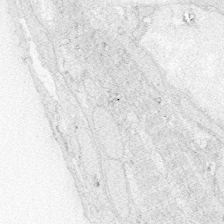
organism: Zebrafish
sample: Whole-Brain